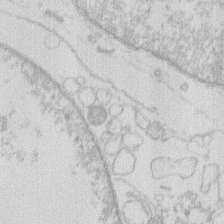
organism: Human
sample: Macrophage cells